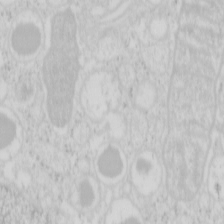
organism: Mouse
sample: Pancreas